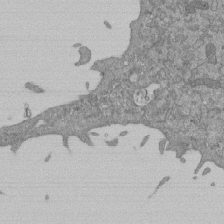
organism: Mouse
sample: ED-1 cell nuclei; centrioles